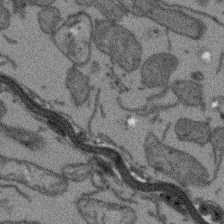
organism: Arabidopsis thaliana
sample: Root tip